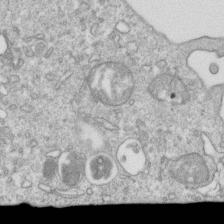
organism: Mouse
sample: Activated OT-1 CD8+ T cells